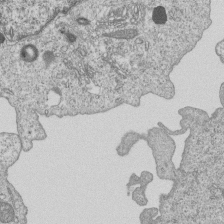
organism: Human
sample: MDA-MB-231 cells